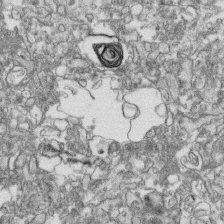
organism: Human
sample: CRL-1474